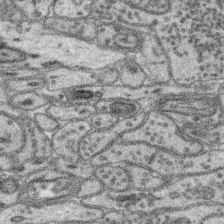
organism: Mouse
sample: Retina